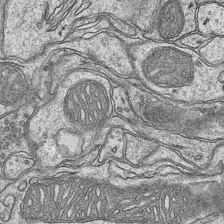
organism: Mouse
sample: CA1 Hippocampus